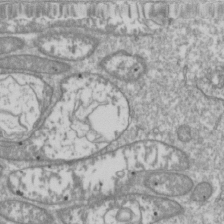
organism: Drosophila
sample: Cell division; meiosis; drosophila spermatocytes